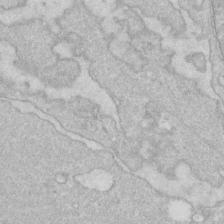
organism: Human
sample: Fibroblast cells